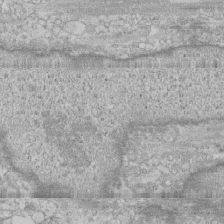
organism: Human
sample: CRL-1474